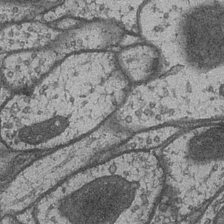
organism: Drosophila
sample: Optic medulla